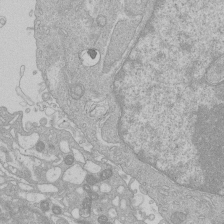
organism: Human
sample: Macrophage cells